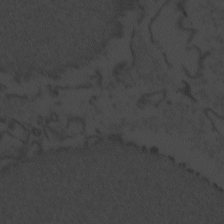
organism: Zebrafish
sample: Macrophage infected with Toxoplasma gondii